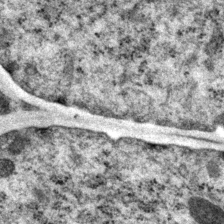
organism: P. pacificus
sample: Pharynx